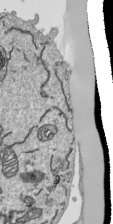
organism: Human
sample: Mitochondria in HCT116 cells